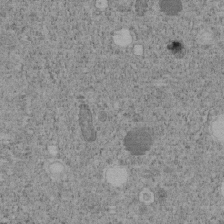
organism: C. elegans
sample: C. elegans embryo early stage